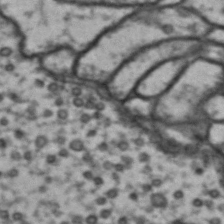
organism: Drosophila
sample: Brain